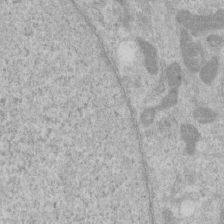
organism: Human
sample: Centriole in RPE cells